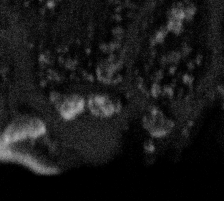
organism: Gemmata obscuriglobus